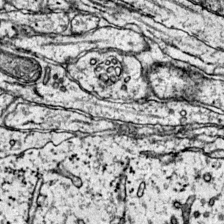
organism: Mouse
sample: Primary visual cortex